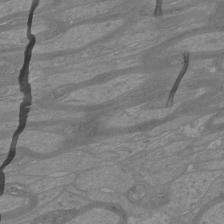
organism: Mouse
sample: Cortical neurons